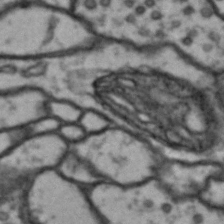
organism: Drosophila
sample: Brain